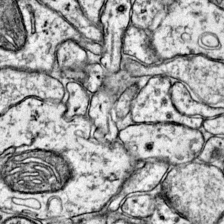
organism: Mouse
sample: Primary visual cortex